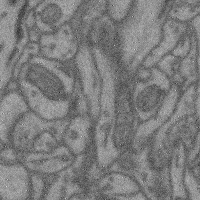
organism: Mouse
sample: Cerebral cortex